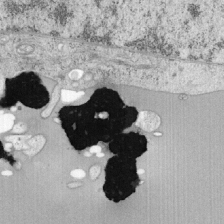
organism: Human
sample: HeLa cells